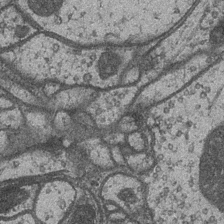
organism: Drosophila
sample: Optic medulla